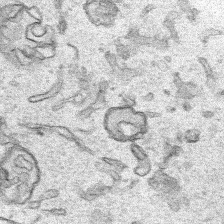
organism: Human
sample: Mitochondria in HCT116 cells